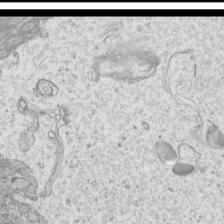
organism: Mouse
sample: Cilia; mouse epididymis